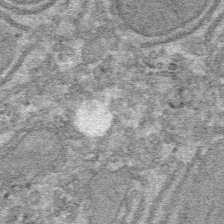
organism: Mouse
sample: Mouse hepatocytes